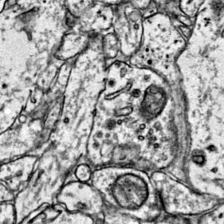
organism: Mouse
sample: Primary visual cortex